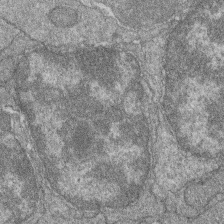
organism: Zebrafish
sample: Cilia; retinal pigment epithelium